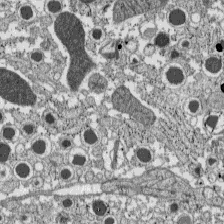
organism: C57BL Mouse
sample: Pancreatic islet